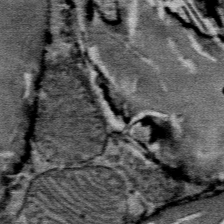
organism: Mouse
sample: Mouse Salivary gland